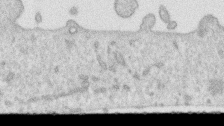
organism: Human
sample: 1205lu cells